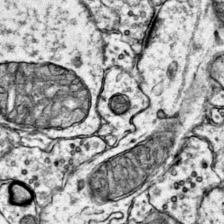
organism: Mouse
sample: Primary visual cortex